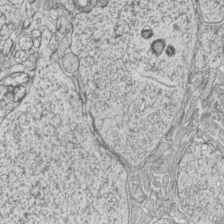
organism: Zebrafish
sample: synaptic ribbons in rod cells and cone cells